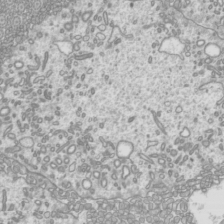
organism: Mouse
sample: Cilia; mouse epididymis